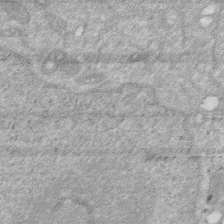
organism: Human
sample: HIV infected U937 cells